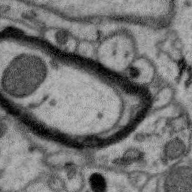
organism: Zebra finch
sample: Brain